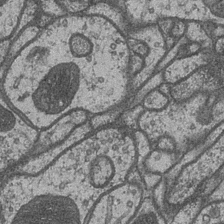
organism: Drosophila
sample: Optic medulla